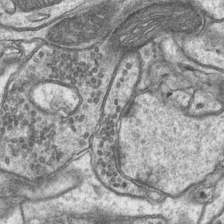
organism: Mouse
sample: CA1 Hippocampus